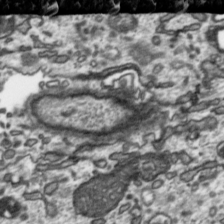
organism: Toxoplasma gondii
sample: Parasites in a vacuole inside a host cell